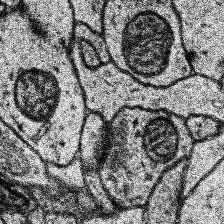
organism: Human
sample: Temporal Lobe